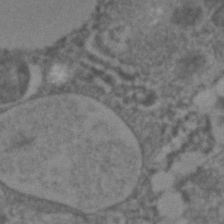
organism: C. elegans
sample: C. elegans embryo